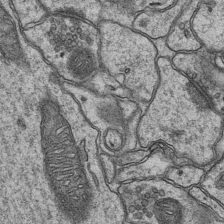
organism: Mouse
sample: CA1 Hippocampus